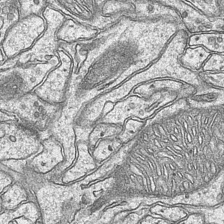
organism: Mouse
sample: CA1 Hippocampus